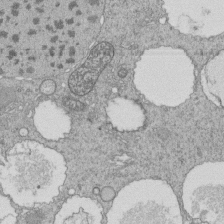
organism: Tetrahymena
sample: Cilia in tetrahymena